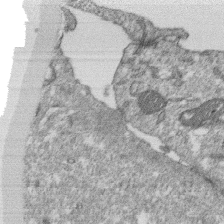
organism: African green monkey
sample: Vero E6 cells infected with SARS-CoV-2